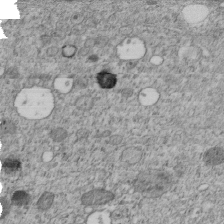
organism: C. elegans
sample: C. elegans embryo early stage